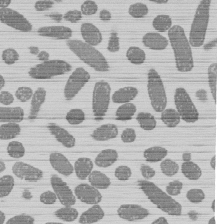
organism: E. coli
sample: Bacterial nucleoid